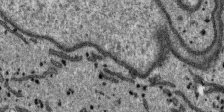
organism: Human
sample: Lung epithelial cells, uninfected (mock) control